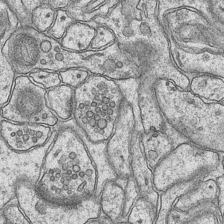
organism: Mouse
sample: CA1 Hippocampus